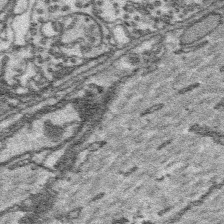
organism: Platynereis dumerilii